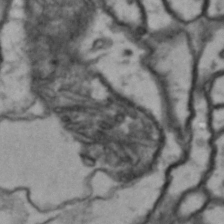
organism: Drosophila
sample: Brain